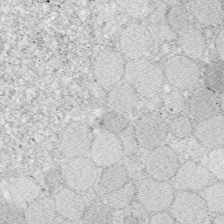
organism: Zebrafish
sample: Whole-Brain